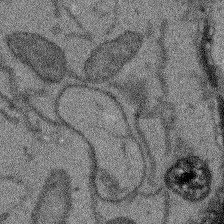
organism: Arabidopsis thaliana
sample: Root tip